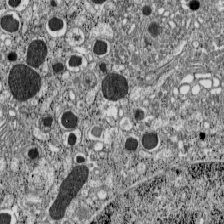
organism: C57BL Mouse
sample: Pancreatic islet